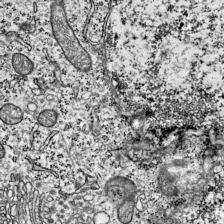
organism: Mouse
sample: Visual Cortex